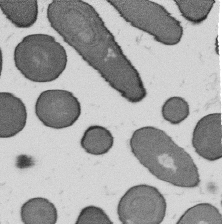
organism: B. subtilis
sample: Bacterial spore